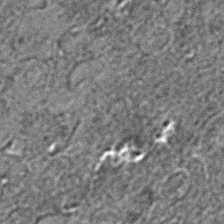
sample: Trachea